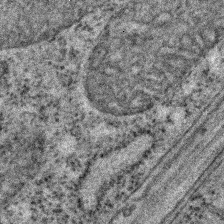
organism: C. elegans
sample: C. elegans embryo